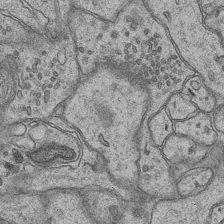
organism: Mouse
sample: CA1 Hippocampus